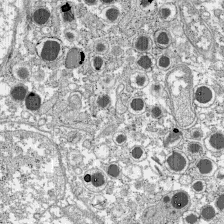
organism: C57BL Mouse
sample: Pancreatic islet